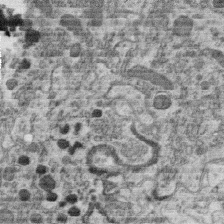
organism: C. elegans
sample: C. elegans oocyte; sperm cells